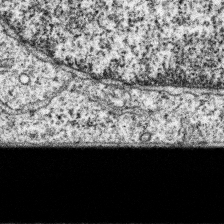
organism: Human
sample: HeLa cells